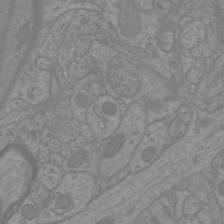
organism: Mouse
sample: Cortical neurons